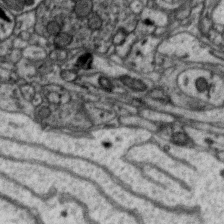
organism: Zebra finch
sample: Brain